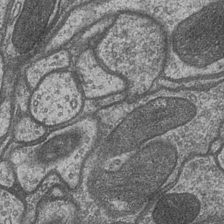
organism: Drosophila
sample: Optic medulla